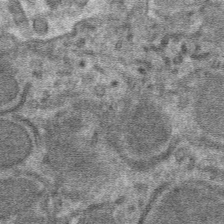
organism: Mouse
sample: Mouse hepatocytes